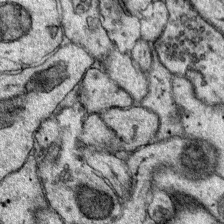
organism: Mouse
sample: Primary visual cortex